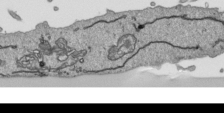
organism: Human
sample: Mitochondria in HCT116 cells